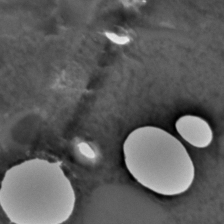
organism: C. elegans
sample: C. elegans embryo